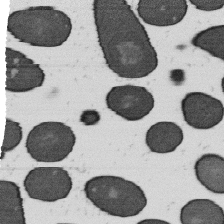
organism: B. subtilis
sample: Bacterial spore